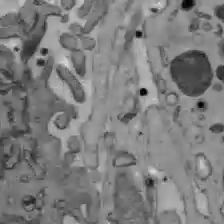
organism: C57BL Mouse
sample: Liver